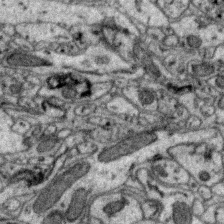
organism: Zebra finch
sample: Brain